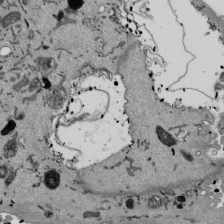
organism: Mouse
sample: ED-1 cell nuclei; centrioles